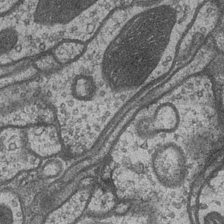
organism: Drosophila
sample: Optic medulla